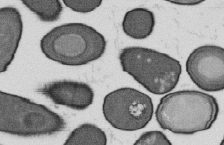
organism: B. subtilis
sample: Bacterial spore